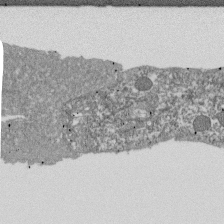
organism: Dictyostelium discoideum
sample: Dictyostelium multivesicular bodies